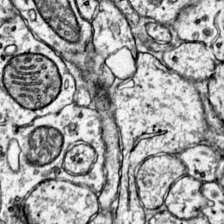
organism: Mouse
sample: Primary visual cortex